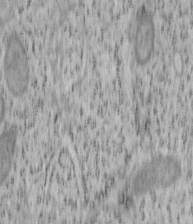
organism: Human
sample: HeLa cells